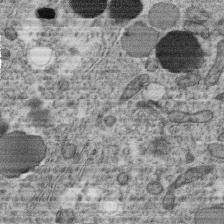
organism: C. elegans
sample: C. elegans oocyte; sperm cells